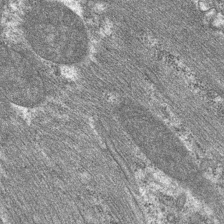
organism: C. elegans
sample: Pharynx